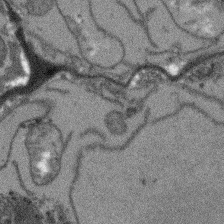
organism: Arabidopsis thaliana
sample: Root tip